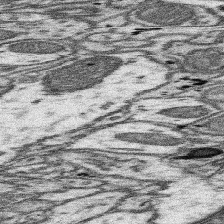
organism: Mouse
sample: Somatosensory cortex neuropil